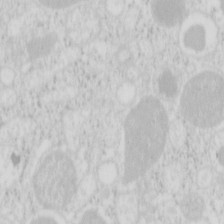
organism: Mouse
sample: Pancreas